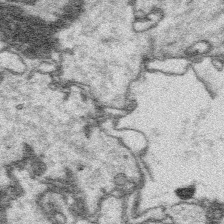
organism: Platynereis dumerilii